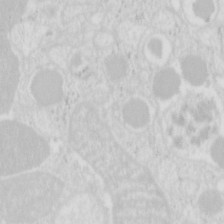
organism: Mouse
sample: Pancreas